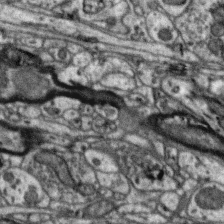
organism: Zebra finch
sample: Brain